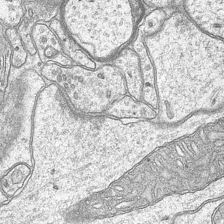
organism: Mouse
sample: CA1 Hippocampus